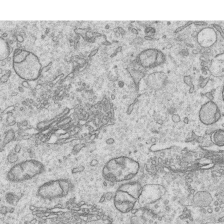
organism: Human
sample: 1205lu cells